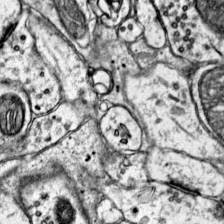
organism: Mouse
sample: Primary visual cortex